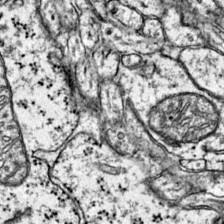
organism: Mouse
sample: Primary visual cortex